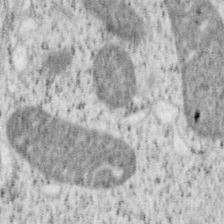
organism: Mouse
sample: OT-I killer T cells with ID8 ovarian cancer cells